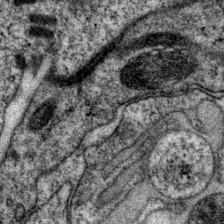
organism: P. pacificus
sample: Pharynx